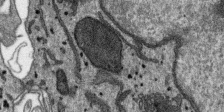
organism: Human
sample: Lung epithelial cells, uninfected (mock) control